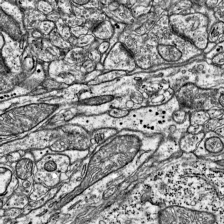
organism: Mouse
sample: Visual Cortex